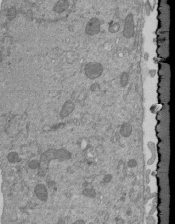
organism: Mouse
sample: ED-1 cell nuclei; centrioles